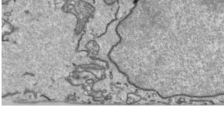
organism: Human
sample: Mitochondria in HCT116 cells